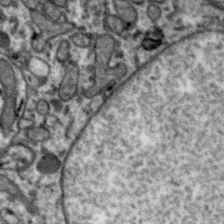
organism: Zebra finch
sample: Brain